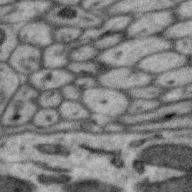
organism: Zebra finch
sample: Brain